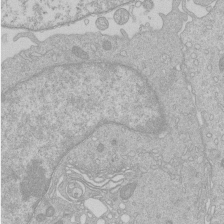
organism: Human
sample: Macrophage cells